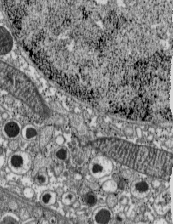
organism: C57BL Mouse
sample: Pancreatic islet